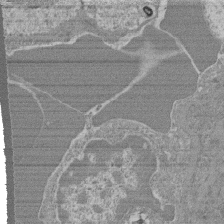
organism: Mouse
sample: Glomerulus